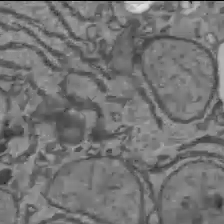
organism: C57BL Mouse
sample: Liver